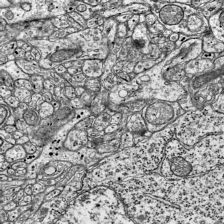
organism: Mouse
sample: Visual Cortex